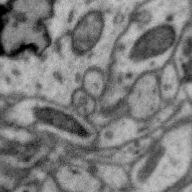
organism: Zebra finch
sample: Brain